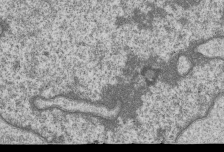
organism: Human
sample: MDA-MB-231 cells